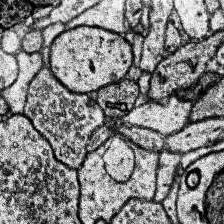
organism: Human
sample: Temporal Lobe